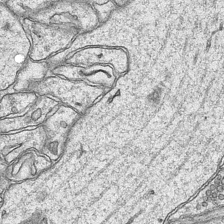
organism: Mouse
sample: CA1 Hippocampus